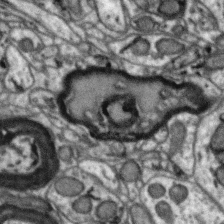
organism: Zebra finch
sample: Brain